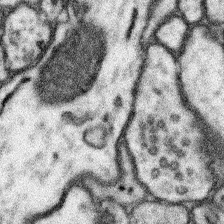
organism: Mouse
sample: Somatosensory cortex neuropil